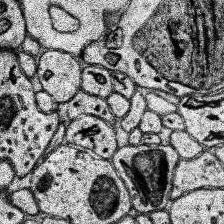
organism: Human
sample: Temporal Lobe